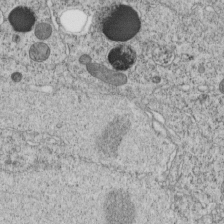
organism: C. elegans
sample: C. elegans embryo early stage